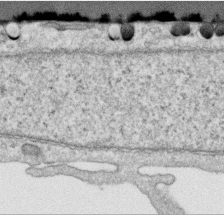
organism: Human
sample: Centriole in RPE cells